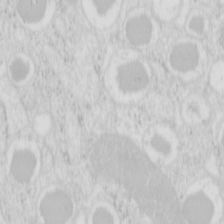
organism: Mouse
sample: Pancreas